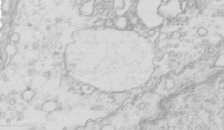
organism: Mouse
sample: Multiciliated cells